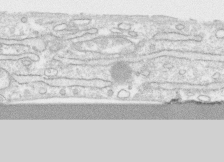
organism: Human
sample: CRL-1474